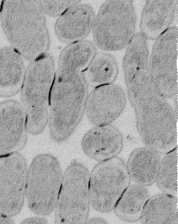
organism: E. coli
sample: Bacterial nucleoid